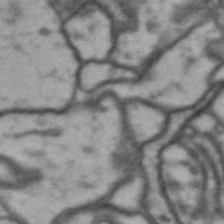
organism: Drosophila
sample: Brain